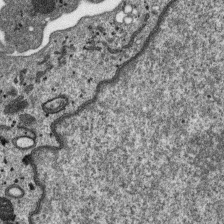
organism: Human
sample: Lung epithelial cells infected with SARS-CoV-2